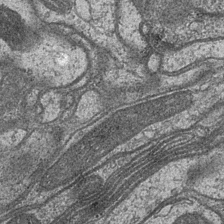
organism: Drosophila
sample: Optic medulla